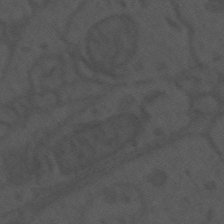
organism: Mouse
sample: Suprachiasmatic nucleus